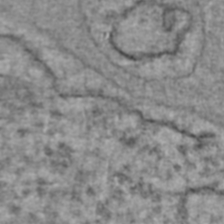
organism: Human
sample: Blood